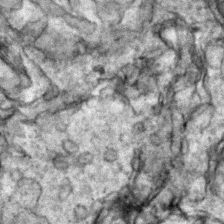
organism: Zebrafish